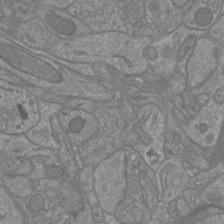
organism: Mouse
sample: Cortical neurons